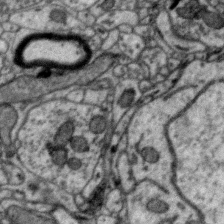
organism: Zebra finch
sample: Brain